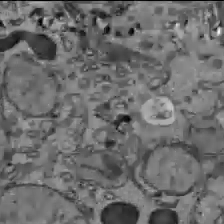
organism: C57BL Mouse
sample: Liver